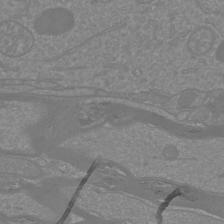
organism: Mouse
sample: Cortical neurons